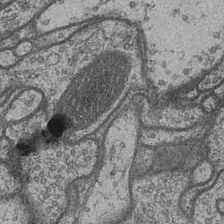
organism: Drosophila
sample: Optic medulla